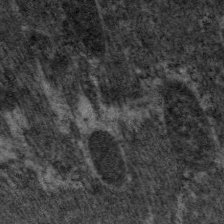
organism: C. elegans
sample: Pharynx